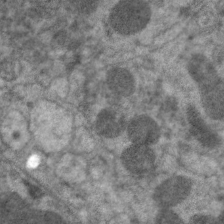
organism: C. elegans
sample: Pharynx